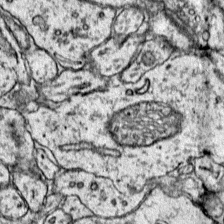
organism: Mouse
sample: Primary visual cortex